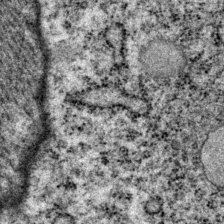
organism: P. pacificus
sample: Pharynx